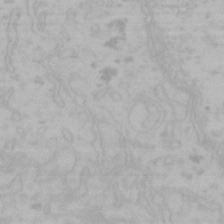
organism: Mouse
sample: Choroid plexus